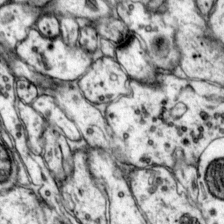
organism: Mouse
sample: Primary visual cortex